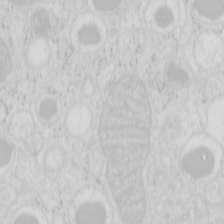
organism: Mouse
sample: Pancreas